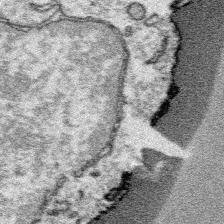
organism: Platynereis dumerilii